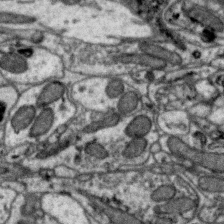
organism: Zebra finch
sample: Brain